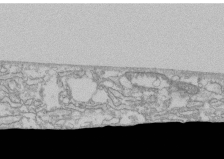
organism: Human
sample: CRL-1474